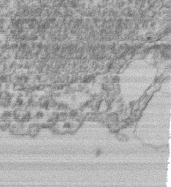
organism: Mouse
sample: T cell stromal cell synapse